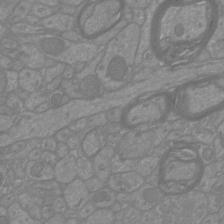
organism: Mouse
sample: Cortical neurons